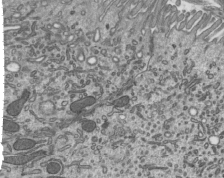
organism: Mouse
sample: Mouse epididymis efferent ductule cilia